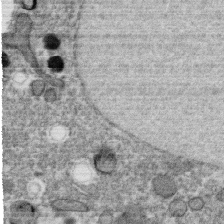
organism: C. elegans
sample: C. elegans oocyte; sperm cells